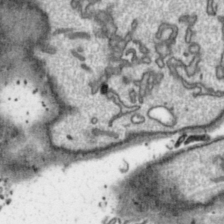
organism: Toxoplasma gondii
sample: Parasites in a vacuole inside a host cell